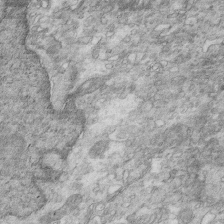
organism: Mouse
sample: Multiciliated cells